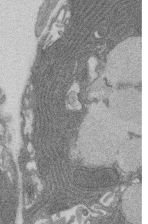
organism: Rat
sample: Salivary granule